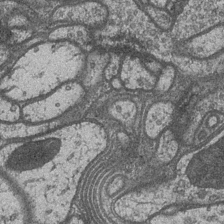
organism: Drosophila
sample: Optic medulla